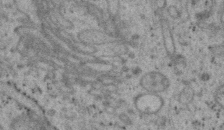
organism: Human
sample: HeLa cells